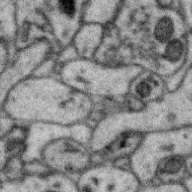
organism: Zebra finch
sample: Brain